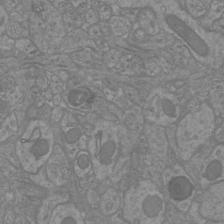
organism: Mouse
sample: Cortical neurons